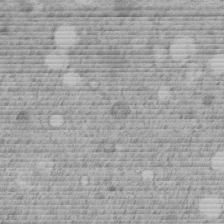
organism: C. elegans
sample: C. elegans embryo early stage